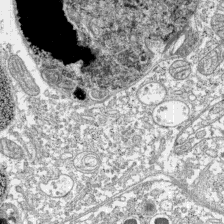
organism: C57BL Mouse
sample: Pancreatic islet